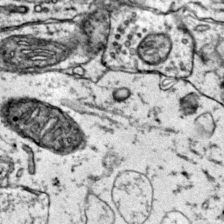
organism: Mouse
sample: Primary visual cortex